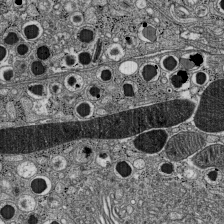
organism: C57BL Mouse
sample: Pancreatic islet